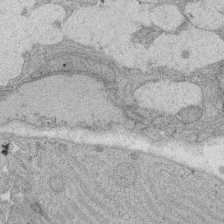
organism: Rat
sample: Salivary granule